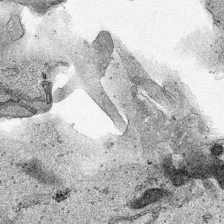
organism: Human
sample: Mitochondria in HCT116 cells